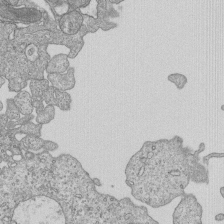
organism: Human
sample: MDA-MB-231 cells